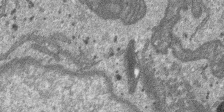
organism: Human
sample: Lung epithelial cells infected with SARS-CoV-2